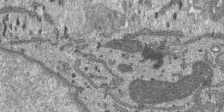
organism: Human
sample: Lung epithelial cells infected with SARS-CoV-2